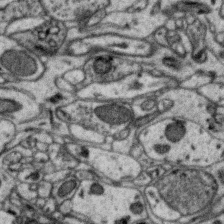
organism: Zebra finch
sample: Brain